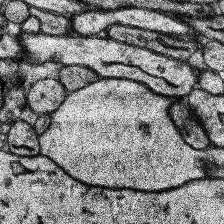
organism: Human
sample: Temporal Lobe